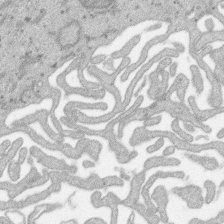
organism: Human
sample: Lung epithelial cells infected with SARS-CoV-2